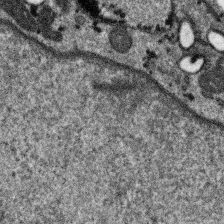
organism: Human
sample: Lung epithelial cells infected with SARS-CoV-2